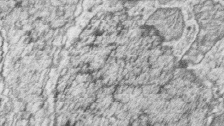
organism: Zebrafish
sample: synaptic ribbons in rod cells and cone cells